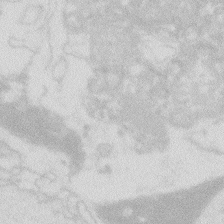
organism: Zebrafish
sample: Macrophage